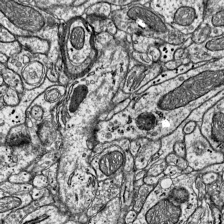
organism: Mouse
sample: Visual Cortex